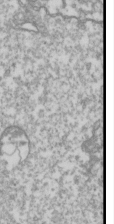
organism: Drosophila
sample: Cell division; meiosis; drosophila spermatocytes